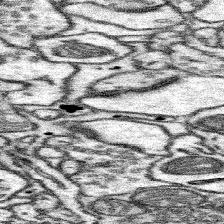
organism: Mouse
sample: Somatosensory cortex neuropil